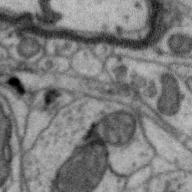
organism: Zebra finch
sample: Brain